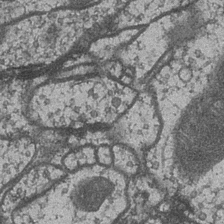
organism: Drosophila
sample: Optic medulla